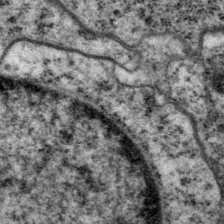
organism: P. pacificus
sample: Pharynx